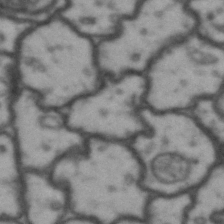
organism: Drosophila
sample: Brain